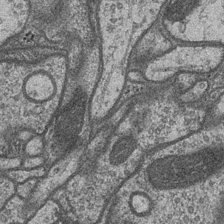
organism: Drosophila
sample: Optic medulla